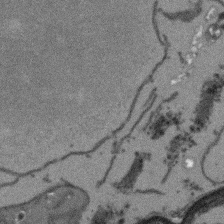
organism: Arabidopsis thaliana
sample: Root tip